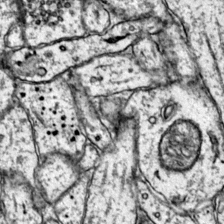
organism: Mouse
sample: Primary visual cortex